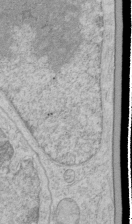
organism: Human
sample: Mitochondria in HCT116 cells